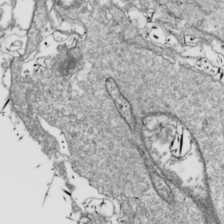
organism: Drosophila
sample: Cell division; meiosis; drosophila spermatocytes